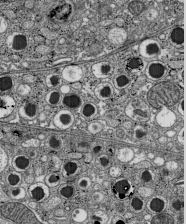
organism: C57BL Mouse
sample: Pancreatic islet